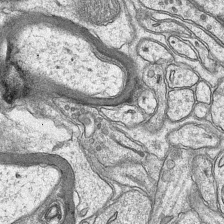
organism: Mouse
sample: CA1 Hippocampus